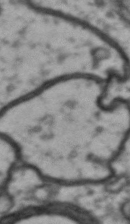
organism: Drosophila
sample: Brain